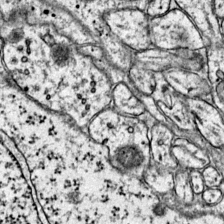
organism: Mouse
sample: Primary visual cortex